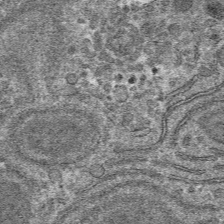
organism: Mouse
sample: Mouse hepatocytes